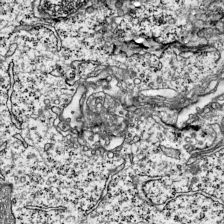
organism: Mouse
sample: Visual Cortex